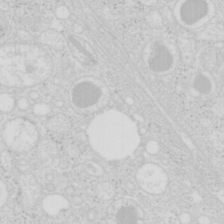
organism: Mouse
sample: Pancreas